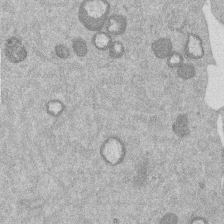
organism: Mouse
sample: Dividing mouse embryo 1 cell stage